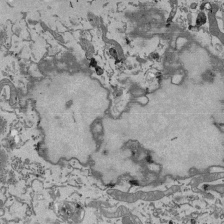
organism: Mouse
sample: ED-1 cell nuclei; centrioles